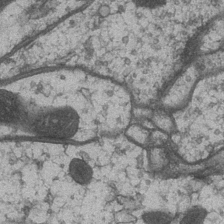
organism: Drosophila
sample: Optic medulla